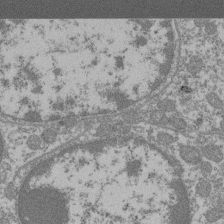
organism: Mouse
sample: Glomerulus